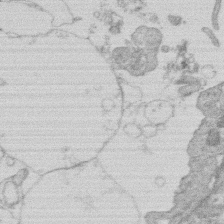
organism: Human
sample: Macrophage cells